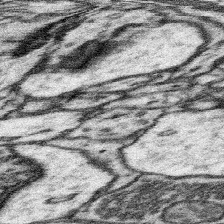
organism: Mouse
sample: Somatosensory cortex neuropil